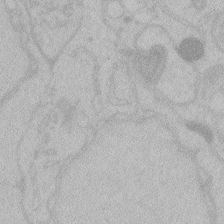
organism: Zebrafish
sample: Macrophage infected with Toxoplasma gondii